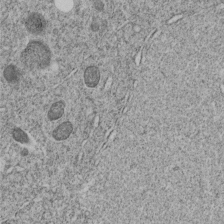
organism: C. elegans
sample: C. elegans embryo early stage